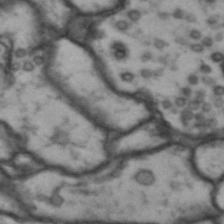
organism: Drosophila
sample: Brain